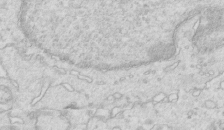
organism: Mouse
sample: Multiciliated cells